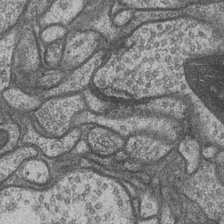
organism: Drosophila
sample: Optic medulla